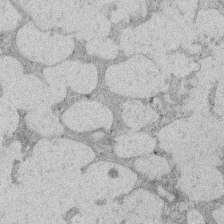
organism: Rat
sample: Salivary granule